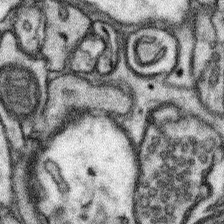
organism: Mouse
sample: Somatosensory cortex neuropil